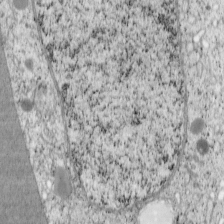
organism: African green monkey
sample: COS-7 cells